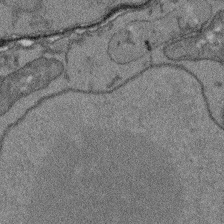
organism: Arabidopsis thaliana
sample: Root tip